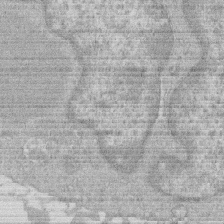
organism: Human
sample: Macrophage cells